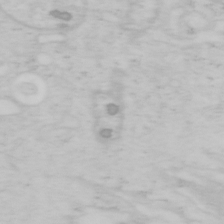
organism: Mouse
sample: OT-I killer T cells with ID8 ovarian cancer cells